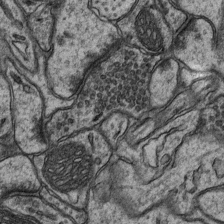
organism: Mouse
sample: CA1 Hippocampus